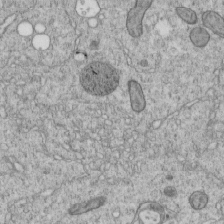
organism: C. elegans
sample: C. elegans embryo early stage